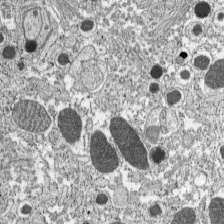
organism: C57BL Mouse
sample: Pancreatic islet